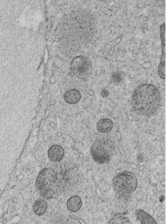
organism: C. elegans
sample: C. elegans embryo early stage